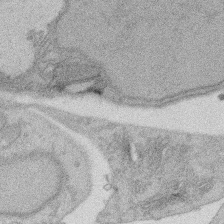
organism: Rat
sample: Salivary granule